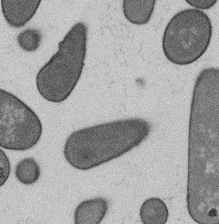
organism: B. subtilis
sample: Bacterial spore